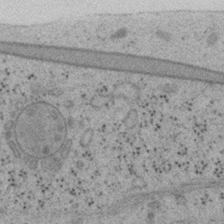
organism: Human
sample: HeLa cells